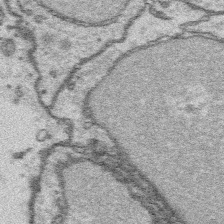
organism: Platynereis dumerilii